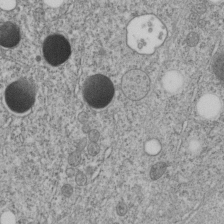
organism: C. elegans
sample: C. elegans embryo early stage